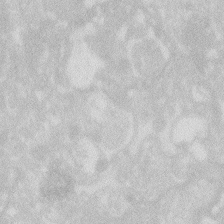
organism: Zebrafish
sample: Macrophage